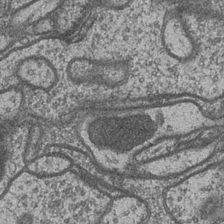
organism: Drosophila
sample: Optic medulla